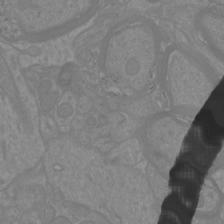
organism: Mouse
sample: Cortical neurons